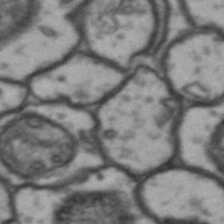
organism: Drosophila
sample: Brain